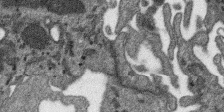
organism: Human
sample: Lung epithelial cells infected with SARS-CoV-2